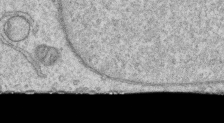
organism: Human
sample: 1205lu cells